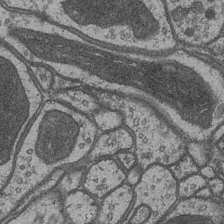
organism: Drosophila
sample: Optic medulla